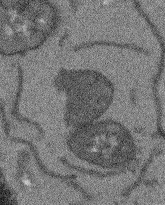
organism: Arabidopsis thaliana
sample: Root tip